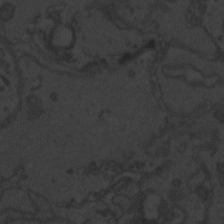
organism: Zebrafish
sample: Macrophage infected with Toxoplasma gondii